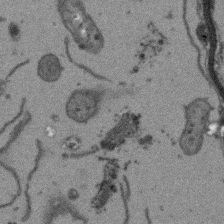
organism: Arabidopsis thaliana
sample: Root tip